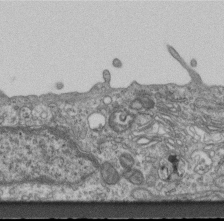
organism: Mouse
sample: Centriole in ependymal cells